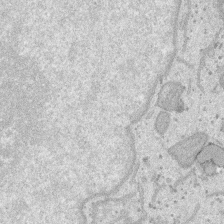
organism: Human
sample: Lung epithelial cells infected with SARS-CoV-2